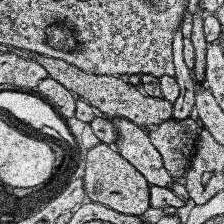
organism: Human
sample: Temporal Lobe